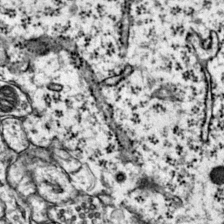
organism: Mouse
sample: Primary visual cortex